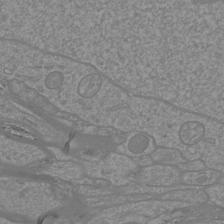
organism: Mouse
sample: Cortical neurons